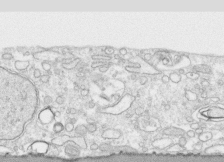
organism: Human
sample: CRL-1474